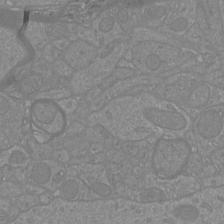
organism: Mouse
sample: Cortical neurons